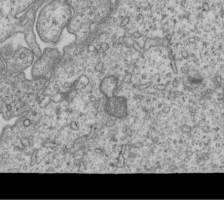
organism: Human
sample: MDA-MB-231 cells